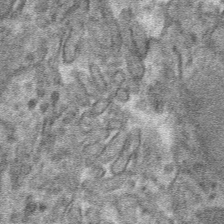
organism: Mouse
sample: Mouse hepatocytes